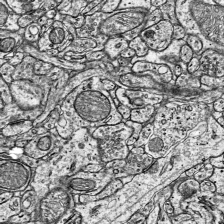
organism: Mouse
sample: Visual Cortex